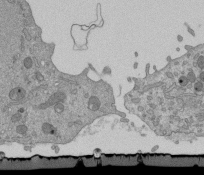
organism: Mouse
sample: ED-1 cell nuclei; centrioles